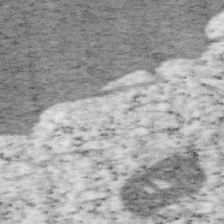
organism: Mouse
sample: OT-I killer T cells with ID8 ovarian cancer cells